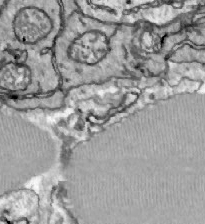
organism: Zebrafish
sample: Actinotrichia fibers